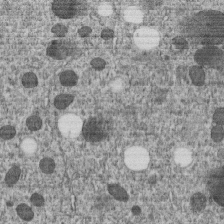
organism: C. elegans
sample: C. elegans embryo early stage